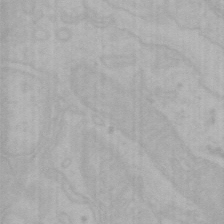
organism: Mouse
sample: Choroid plexus